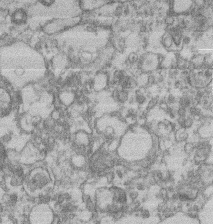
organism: Mouse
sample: T cell stromal cell synapse